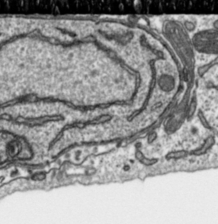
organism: Toxoplasma gondii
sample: Parasites in a vacuole inside a host cell